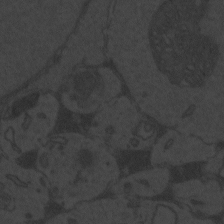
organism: Zebrafish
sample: Macrophage infected with Toxoplasma gondii